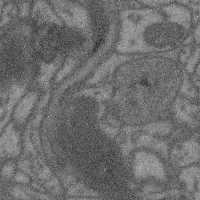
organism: Mouse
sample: Cerebral cortex